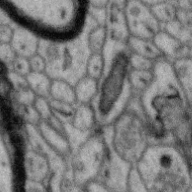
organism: Zebra finch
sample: Brain